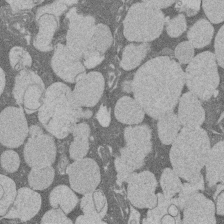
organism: Rat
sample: Salivary granule